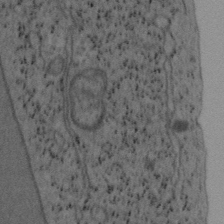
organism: Human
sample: HeLa cells